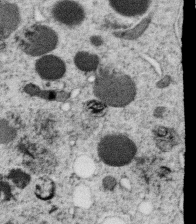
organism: C. elegans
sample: C. elegans oocyte; sperm cells